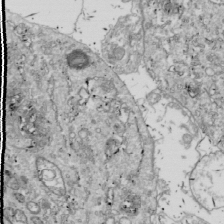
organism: Drosophila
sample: Cell division; meiosis; drosophila spermatocytes